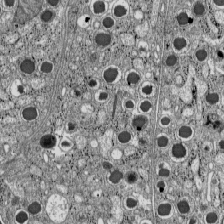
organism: C57BL Mouse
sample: Pancreatic islet